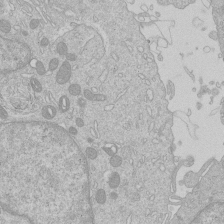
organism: Human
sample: Macrophage cells